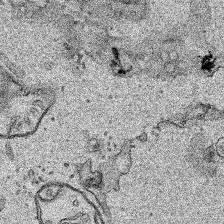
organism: Human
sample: Mitochondria in HCT116 cells